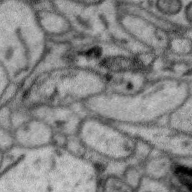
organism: Zebra finch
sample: Brain